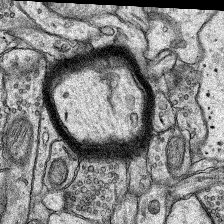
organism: Rat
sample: Hippocampus